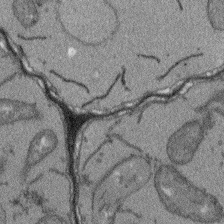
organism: Arabidopsis thaliana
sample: Root tip